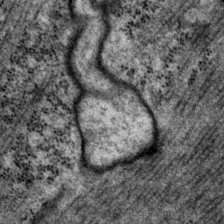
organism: P. pacificus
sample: Pharynx